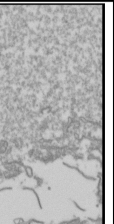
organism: Drosophila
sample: Cell division; meiosis; drosophila spermatocytes